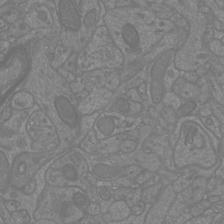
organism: Mouse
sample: Cortical neurons